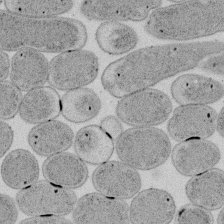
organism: E. coli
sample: Bacterial nucleoid